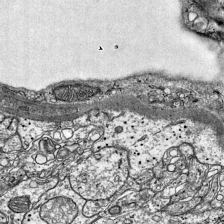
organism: Mouse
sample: Visual Cortex